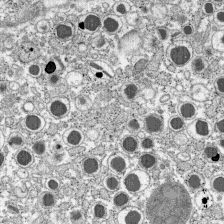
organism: C57BL Mouse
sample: Pancreatic islet